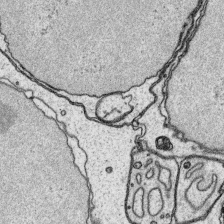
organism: Platynereis dumerilii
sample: Parapodia